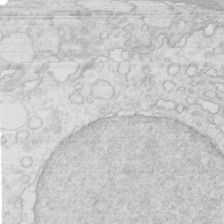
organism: Mouse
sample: Multiciliated cells